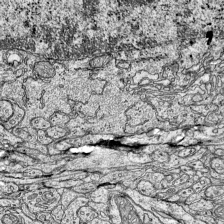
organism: Mouse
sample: Visual Cortex